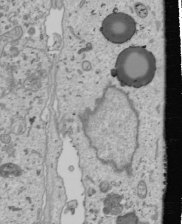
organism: Human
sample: Mitochondria in U2OS cells